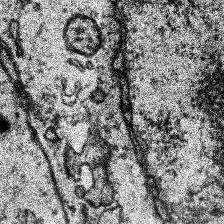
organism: Human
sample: Temporal Lobe